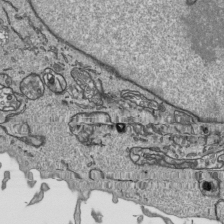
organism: Human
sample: Mitochondria in HCT116 cells